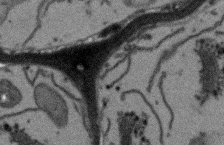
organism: Arabidopsis thaliana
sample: Root tip